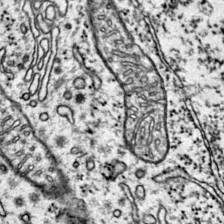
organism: Mouse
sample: Primary visual cortex